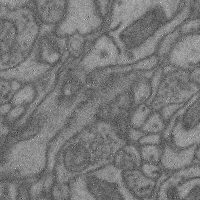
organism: Mouse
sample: Cerebral cortex